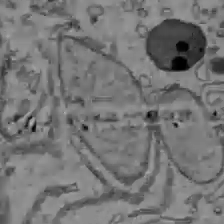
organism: C57BL Mouse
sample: Liver